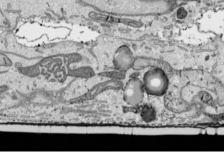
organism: Human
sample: Mitochondria in HCT116 cells